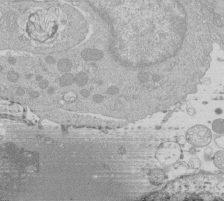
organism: Human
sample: Macrophage cells